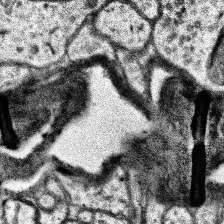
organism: Human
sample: Temporal Lobe